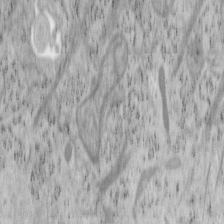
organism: Human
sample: HeLa cells